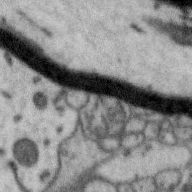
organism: Zebra finch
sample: Brain